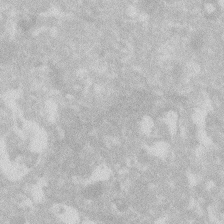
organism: Zebrafish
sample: Macrophage